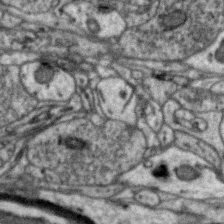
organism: Zebra finch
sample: Brain